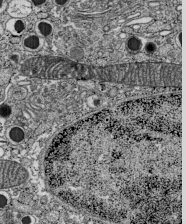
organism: C57BL Mouse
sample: Pancreatic islet